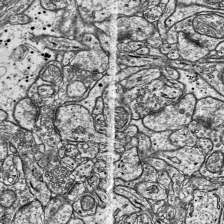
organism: Mouse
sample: Visual Cortex